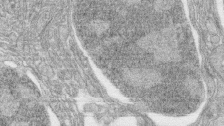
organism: Zebrafish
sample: synaptic ribbons in rod cells and cone cells